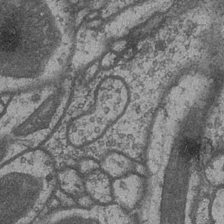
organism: Drosophila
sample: Optic medulla